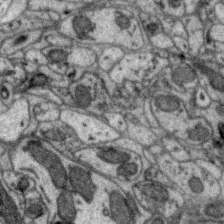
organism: Zebra finch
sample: Brain